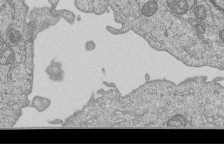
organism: Human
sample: MDA-MB-231 cells